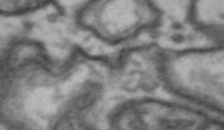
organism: Drosophila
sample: Brain